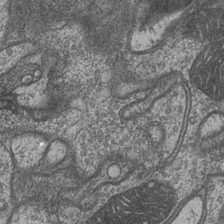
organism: Drosophila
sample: Optic medulla